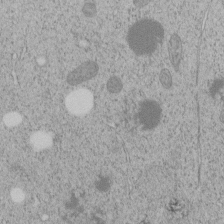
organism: C. elegans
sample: C. elegans embryo early stage